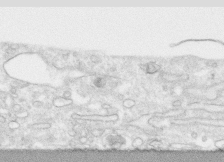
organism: Human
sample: CRL-1474